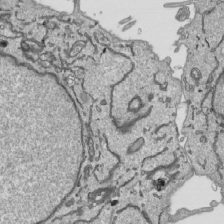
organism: Human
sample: Mitochondria in HCT116 cells